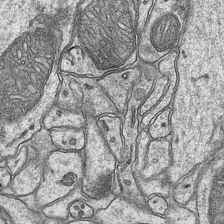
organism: Mouse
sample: CA1 Hippocampus